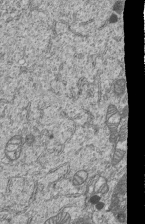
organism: Human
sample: MDA-MB-231 cells